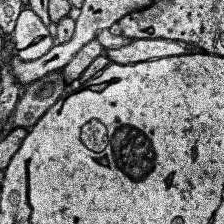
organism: Human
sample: Temporal Lobe